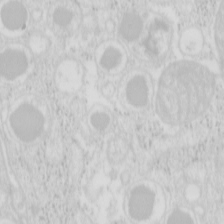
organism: Mouse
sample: Pancreas